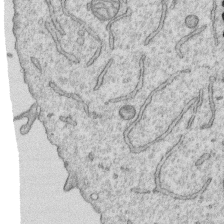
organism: Human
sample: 1205lu cells